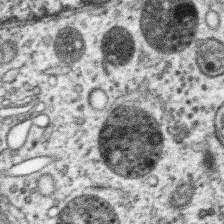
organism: Human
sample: HeLa cells